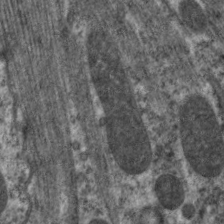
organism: C. elegans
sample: Pharynx